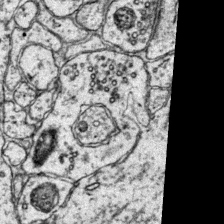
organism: Mouse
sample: Primary visual cortex